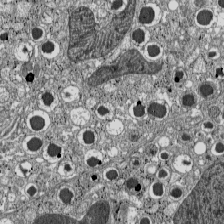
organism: C57BL Mouse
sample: Pancreatic islet